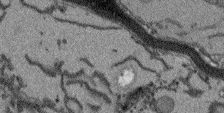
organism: Arabidopsis thaliana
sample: Root tip